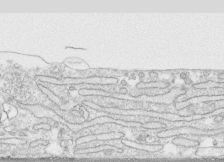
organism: Human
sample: CRL-1474